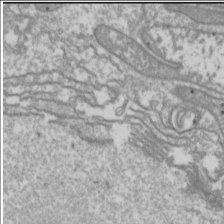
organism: Drosophila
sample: Cell division; meiosis; drosophila spermatocytes